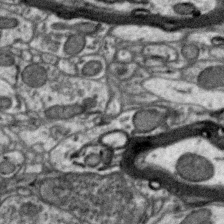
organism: Zebra finch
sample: Brain